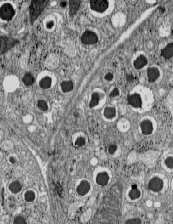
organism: C57BL Mouse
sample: Pancreatic islet